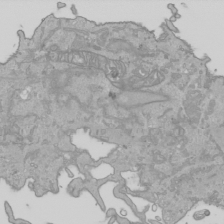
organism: Human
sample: Mitochondria in HCT116 cells